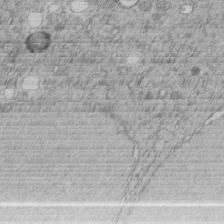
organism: C. elegans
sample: C. elegans embryo early stage